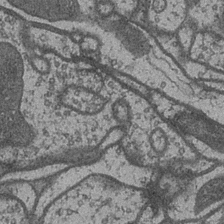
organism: Drosophila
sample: Optic medulla